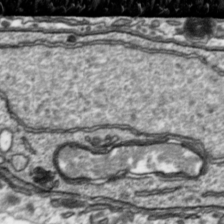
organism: Toxoplasma gondii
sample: Parasites in a vacuole inside a host cell